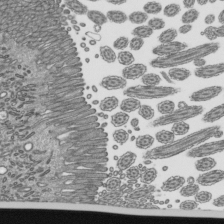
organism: Mouse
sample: Mouse epididymis efferent ductule cilia